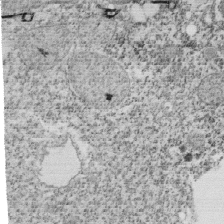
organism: Tetrahymena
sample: Cilia in tetrahymena